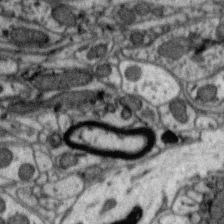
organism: Zebra finch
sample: Brain